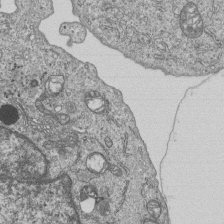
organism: Human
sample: MDA-MB-231 cells